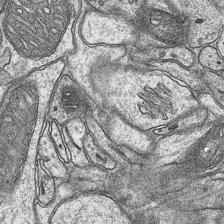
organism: Mouse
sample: CA1 Hippocampus